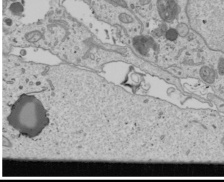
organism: Human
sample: Mitochondria in U2OS cells